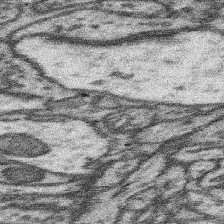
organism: Mouse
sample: Somatosensory cortex neuropil